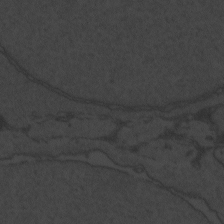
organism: Zebrafish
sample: Macrophage infected with Toxoplasma gondii